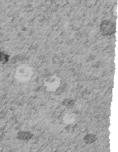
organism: C. elegans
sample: C. elegans embryo early stage